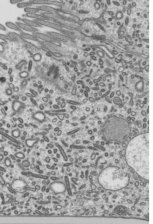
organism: Mouse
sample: Mouse epididymis efferent ductule cilia